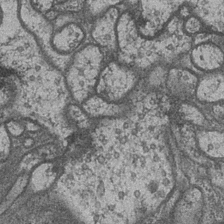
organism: Drosophila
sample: Optic medulla